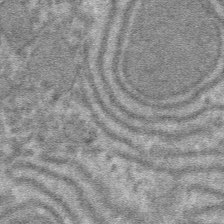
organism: Mouse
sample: Mouse hepatocytes